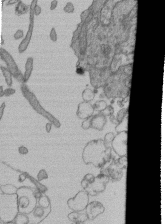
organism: Human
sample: Retinal organoid Rod and Cone cells